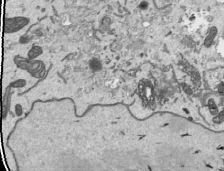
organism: Human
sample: Mitochondria in HCT116 cells